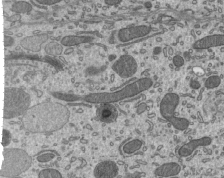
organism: Mouse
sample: Mouse epididymis efferent ductule cilia